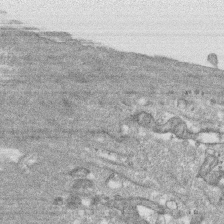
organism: Human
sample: CRL-1474